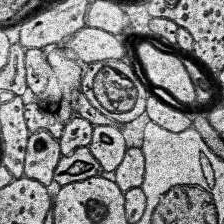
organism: Human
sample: Temporal Lobe